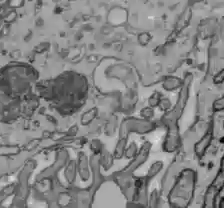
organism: C57BL Mouse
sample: Liver